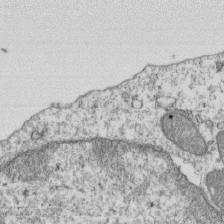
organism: Mouse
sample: Activated OT-1 CD8+ T cells